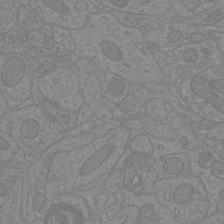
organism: Mouse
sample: Cortical neurons